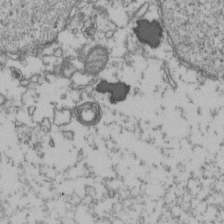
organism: Human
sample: Activated Jurkat CD4+ T cells